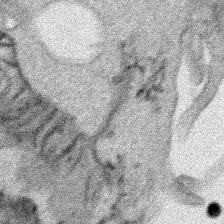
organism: Human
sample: Mitochondria in HCT116 cells